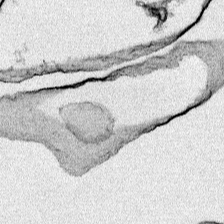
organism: Human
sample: Mitochondria in HCT116 cells